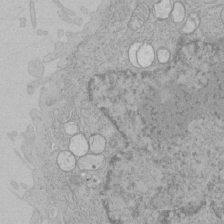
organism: Human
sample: Mitochondria in HCT116 cells